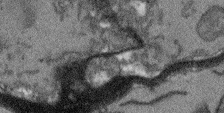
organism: Arabidopsis thaliana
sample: Root tip